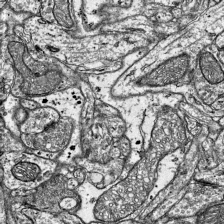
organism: Mouse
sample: Visual Cortex